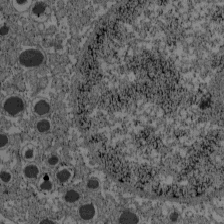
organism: C57BL Mouse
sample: Pancreatic islet